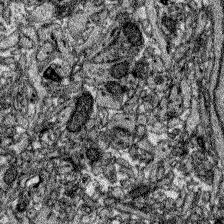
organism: Zebrafish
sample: Larval olfactory bulb